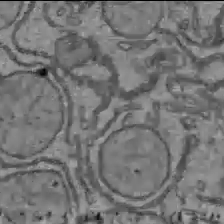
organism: C57BL Mouse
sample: Liver